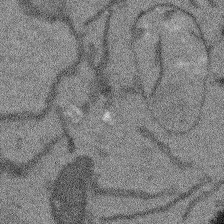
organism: Arabidopsis thaliana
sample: Root tip